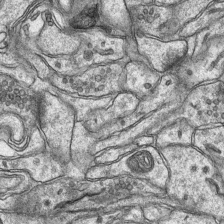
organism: Mouse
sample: CA1 Hippocampus